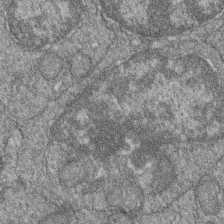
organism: Zebrafish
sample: Cilia; retinal pigment epithelium